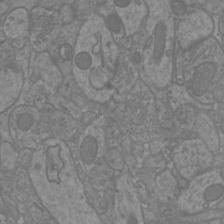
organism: Mouse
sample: Cortical neurons